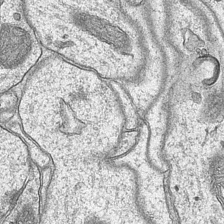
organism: Mouse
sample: CA1 Hippocampus